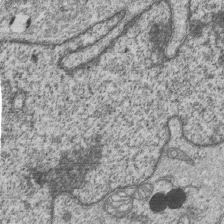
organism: Human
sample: MDA-MB-231 cells